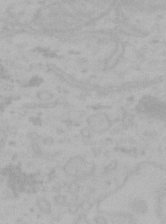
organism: Mouse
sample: Choroid plexus